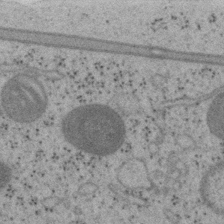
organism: Human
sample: HeLa cells